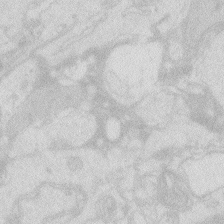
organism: Zebrafish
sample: Macrophage